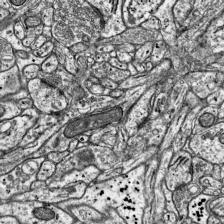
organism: Mouse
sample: Visual Cortex